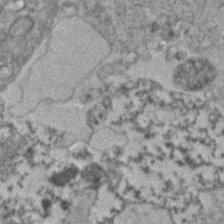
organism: Human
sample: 1205lu cells